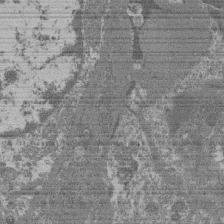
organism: Mouse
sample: Glomerulus